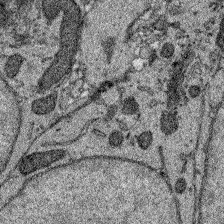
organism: Zebrafish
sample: Larval olfactory bulb